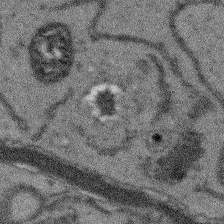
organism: Arabidopsis thaliana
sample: Root tip